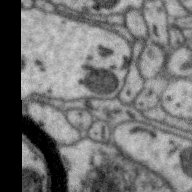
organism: Zebra finch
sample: Brain